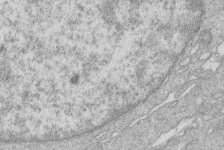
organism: Human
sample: Macrophage cells